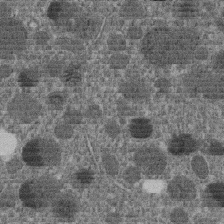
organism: C. elegans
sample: C. elegans embryo early stage